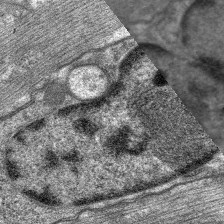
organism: C. elegans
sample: Pharynx